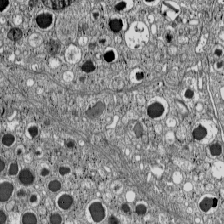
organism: C57BL Mouse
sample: Pancreatic islet